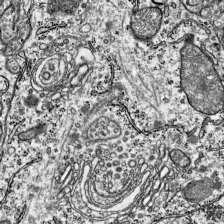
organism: Mouse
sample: Visual Cortex